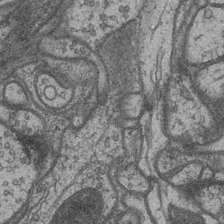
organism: Drosophila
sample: Optic medulla